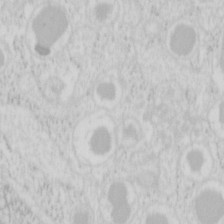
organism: Mouse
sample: Pancreas